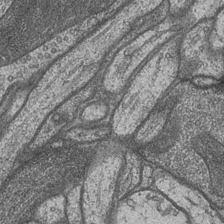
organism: Drosophila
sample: Optic medulla